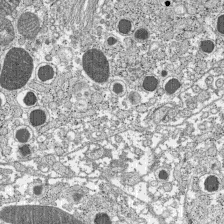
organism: C57BL Mouse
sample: Pancreatic islet